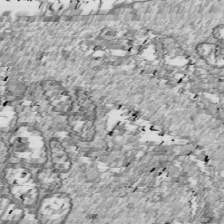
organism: Drosophila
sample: Cell division; meiosis; drosophila spermatocytes